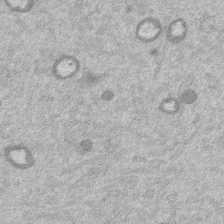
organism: Mouse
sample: Dividing mouse embryo 1 cell stage